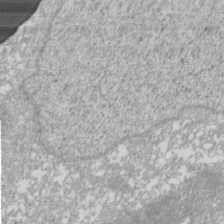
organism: Xenopus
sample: Cilia; centrioles in frog embryo cells